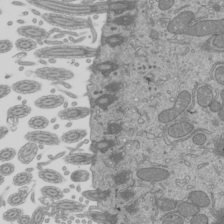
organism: Mouse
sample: Cilia; mouse epididymis